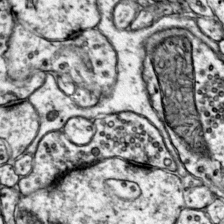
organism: Mouse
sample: Primary visual cortex